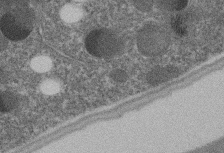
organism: C. elegans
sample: C. elegans embryo early stage